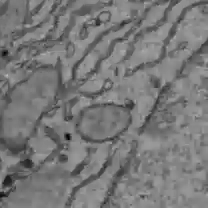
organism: C57BL Mouse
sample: Liver